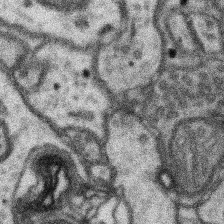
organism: Mouse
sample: Somatosensory cortex neuropil